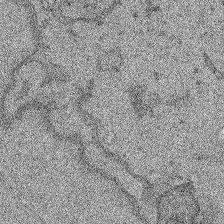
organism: Human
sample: HeLa cells